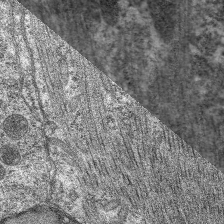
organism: C. elegans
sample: Pharynx